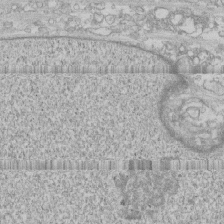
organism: Human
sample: CRL-1474